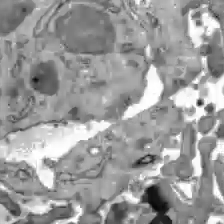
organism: C57BL Mouse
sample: Liver